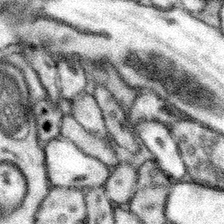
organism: Mouse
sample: Somatosensory cortex neuropil